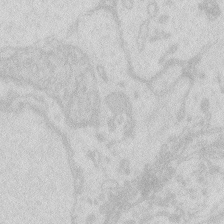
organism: Zebrafish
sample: Macrophage